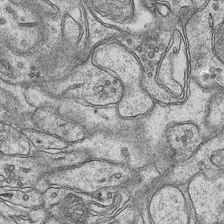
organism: Mouse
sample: CA1 Hippocampus